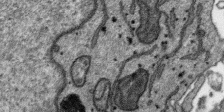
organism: Human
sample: Lung epithelial cells, uninfected (mock) control